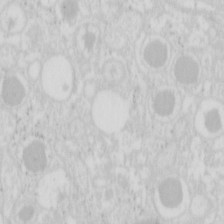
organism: Mouse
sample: Pancreas